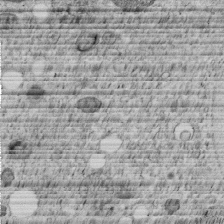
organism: C. elegans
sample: C. elegans embryo early stage